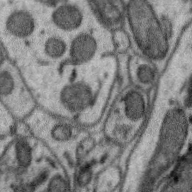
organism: Zebra finch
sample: Brain